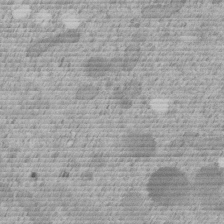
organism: C. elegans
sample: C. elegans embryo early stage